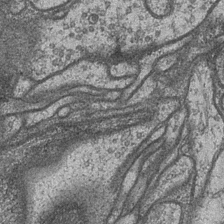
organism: Drosophila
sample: Optic medulla